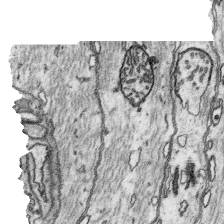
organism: Platynereis dumerilii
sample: Parapodia